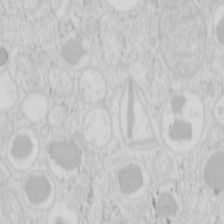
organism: Mouse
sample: Pancreas